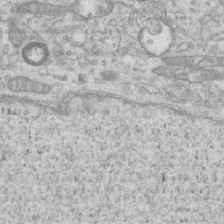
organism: Mouse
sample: Centriole in ependymal cells